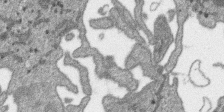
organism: Human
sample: Lung epithelial cells infected with SARS-CoV-2